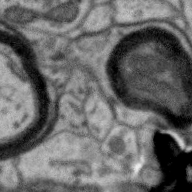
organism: Zebra finch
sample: Brain